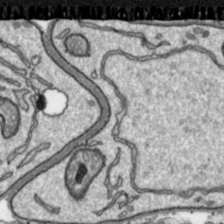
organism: Toxoplasma gondii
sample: Parasites in a vacuole inside a host cell